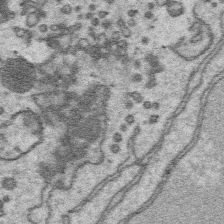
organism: Platynereis dumerilii